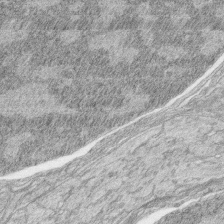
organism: Zebrafish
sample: synaptic ribbons in rod cells and cone cells